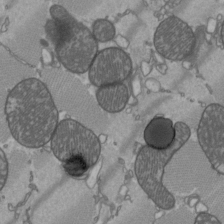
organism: C57BL Mouse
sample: Heart